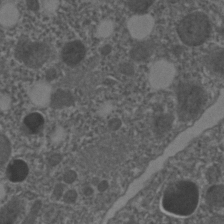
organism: C. elegans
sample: C. elegans embryo